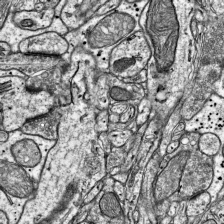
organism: Mouse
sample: Visual Cortex